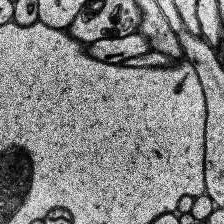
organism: Human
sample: Temporal Lobe